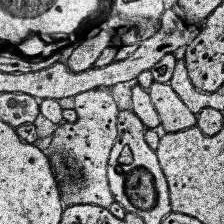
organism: Human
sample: Temporal Lobe